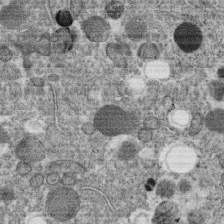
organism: C. elegans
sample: C. elegans oocyte; sperm cells